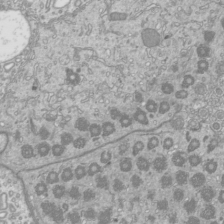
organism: Mouse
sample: Cilia; mouse epididymis